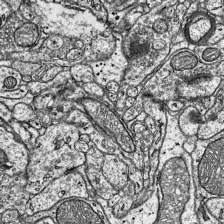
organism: Mouse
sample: Visual Cortex